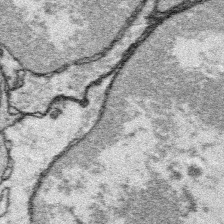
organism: Platynereis dumerilii